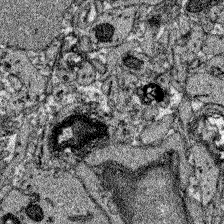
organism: Zebrafish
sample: Larval olfactory bulb